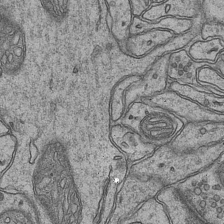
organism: Mouse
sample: CA1 Hippocampus